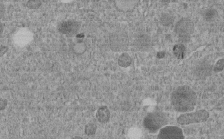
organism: C. elegans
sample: C. elegans embryo early stage